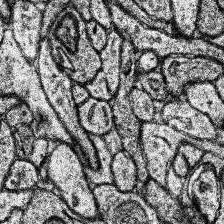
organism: Human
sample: Temporal Lobe